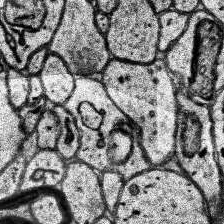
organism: Human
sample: Temporal Lobe